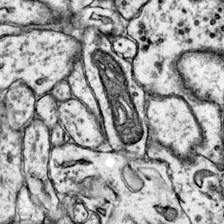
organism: Mouse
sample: Primary visual cortex